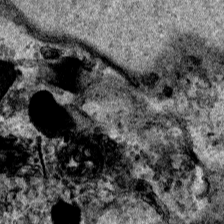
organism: Human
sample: Mitochondria in HCT116 cells